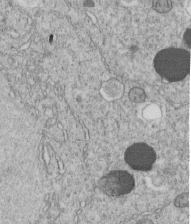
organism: C. elegans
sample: C. elegans embryo early stage